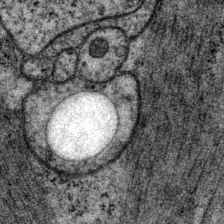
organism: P. pacificus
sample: Pharynx